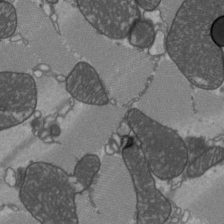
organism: C57BL Mouse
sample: Heart